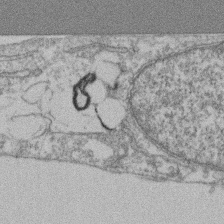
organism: Mouse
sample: T cell stromal cell synapse